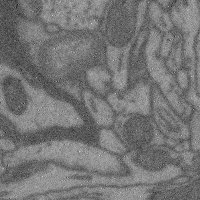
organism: Mouse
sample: Cerebral cortex